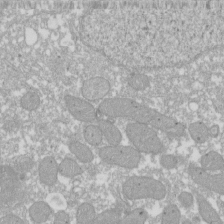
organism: Xenopus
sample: Cilia; centrioles in frog embryo cells